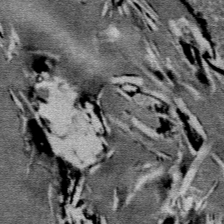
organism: Mouse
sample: Mouse Salivary gland